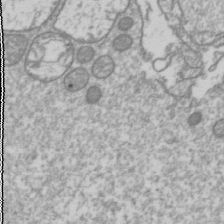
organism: Drosophila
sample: Cell division; meiosis; drosophila spermatocytes